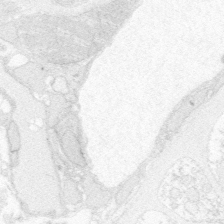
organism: Zebrafish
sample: Whole-Brain